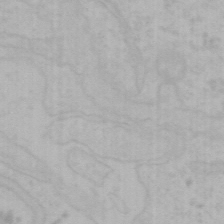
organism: Mouse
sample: Choroid plexus